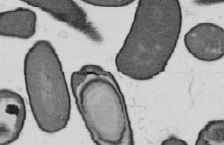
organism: B. subtilis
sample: Bacterial spore